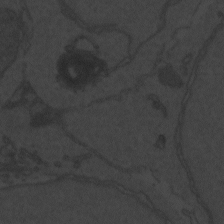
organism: Zebrafish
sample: Macrophage infected with Toxoplasma gondii